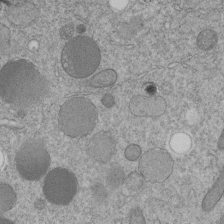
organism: C. elegans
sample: C. elegans embryo early stage